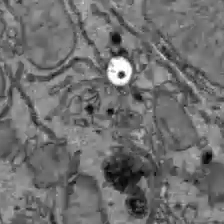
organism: C57BL Mouse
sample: Liver